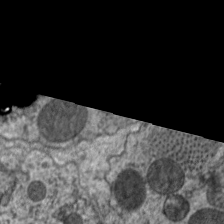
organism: C. elegans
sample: Pharynx